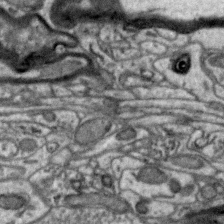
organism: Zebra finch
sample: Brain